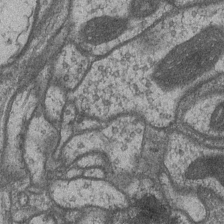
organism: Drosophila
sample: Optic medulla